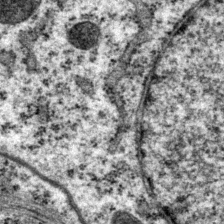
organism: P. pacificus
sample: Pharynx